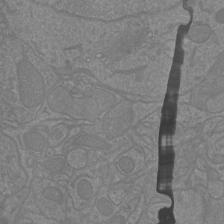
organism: Mouse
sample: Cortical neurons